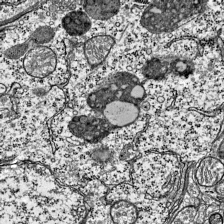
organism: Mouse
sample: Visual Cortex